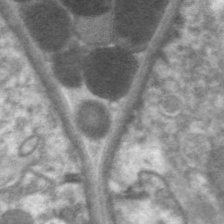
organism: C. elegans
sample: Pharynx